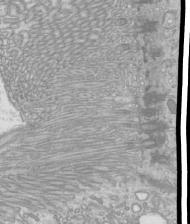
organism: Mouse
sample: Cilia; mouse epididymis